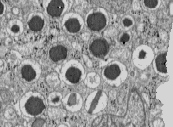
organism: C57BL Mouse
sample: Pancreatic islet